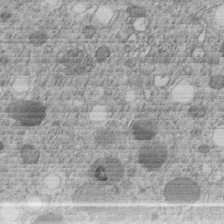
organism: C. elegans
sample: C. elegans embryo early stage